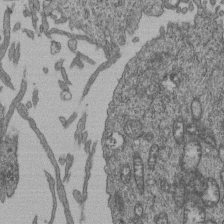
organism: Human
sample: Retinal organoid Rod and Cone cells